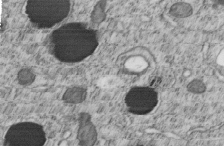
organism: C. elegans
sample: C. elegans embryo early stage